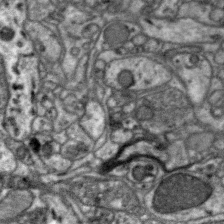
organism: Zebra finch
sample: Brain